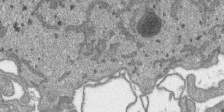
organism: Human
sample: Lung epithelial cells infected with SARS-CoV-2